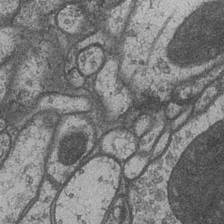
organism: Drosophila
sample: Optic medulla